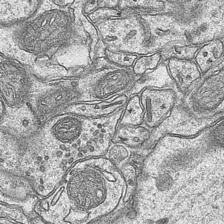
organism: Mouse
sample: CA1 Hippocampus